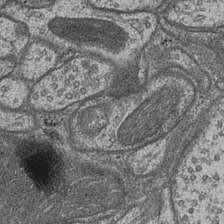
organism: Drosophila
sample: Optic medulla